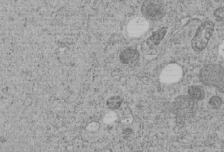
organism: C. elegans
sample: C. elegans embryo early stage